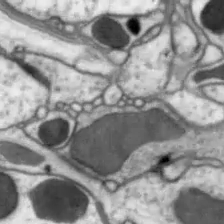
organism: Drosophila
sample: Optic lobe